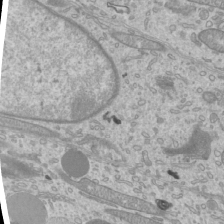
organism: Mouse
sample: Cilia; mouse epididymis